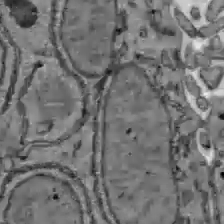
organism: C57BL Mouse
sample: Liver